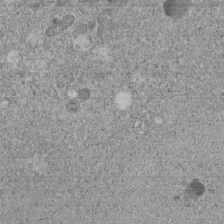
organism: C. elegans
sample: C. elegans embryo early stage